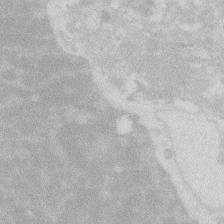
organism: Zebrafish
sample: Macrophage